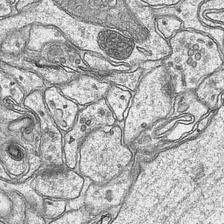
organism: Mouse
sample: CA1 Hippocampus